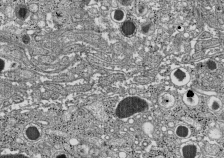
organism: C57BL Mouse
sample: Pancreatic islet